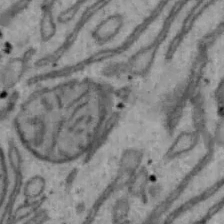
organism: Mouse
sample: Liver